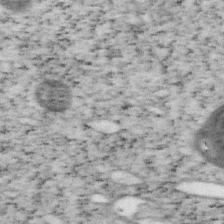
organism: Mouse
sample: OT-I killer T cells with ID8 ovarian cancer cells